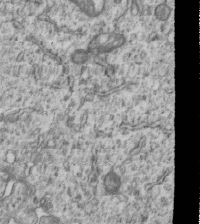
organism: Human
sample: MDA-MB-231 cells